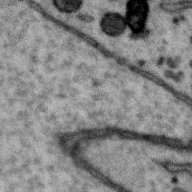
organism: Zebra finch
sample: Brain